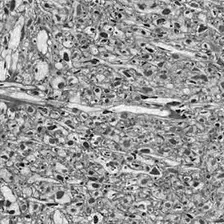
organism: Drosophila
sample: Optic lobe